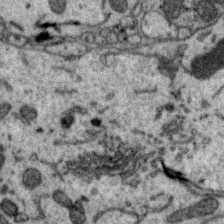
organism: Zebra finch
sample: Brain